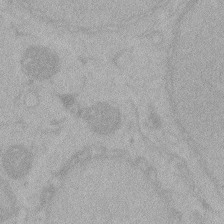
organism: Zebrafish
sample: Macrophage infected with Toxoplasma gondii